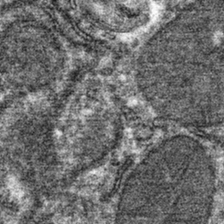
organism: Mouse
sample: Mouse hepatocytes